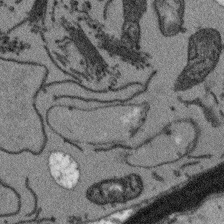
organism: Arabidopsis thaliana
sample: Root tip